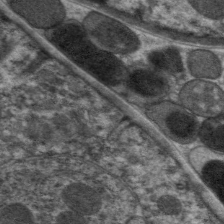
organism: C. elegans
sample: Pharynx